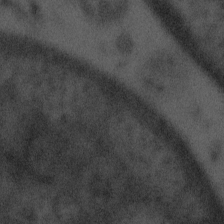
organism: Tuwongella immobilis